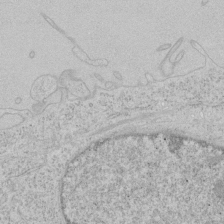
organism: Human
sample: Mitochondria in HCT116 cells